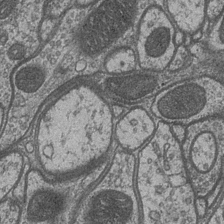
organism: Drosophila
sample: Optic medulla